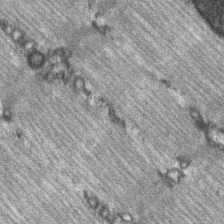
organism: C57BL Mouse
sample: Soleus